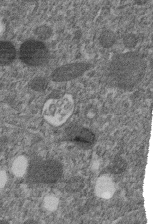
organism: C. elegans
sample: C. elegans embryo early stage